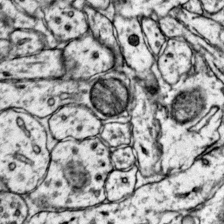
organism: Mouse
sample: Primary visual cortex